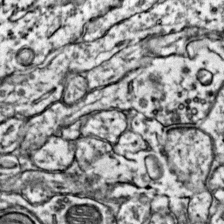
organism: Mouse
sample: Primary visual cortex